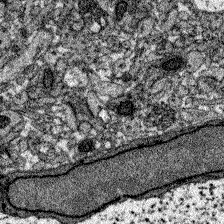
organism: Zebrafish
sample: Larval olfactory bulb